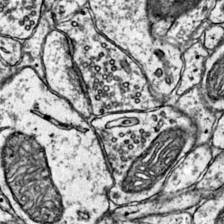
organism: Mouse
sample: Primary visual cortex